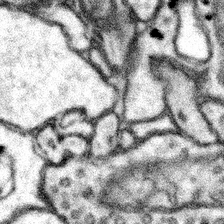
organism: Mouse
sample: Somatosensory cortex neuropil